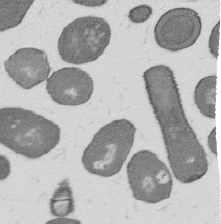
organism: B. subtilis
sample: Bacterial spore